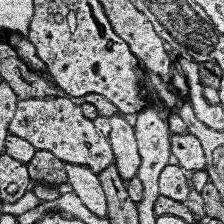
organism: Human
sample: Temporal Lobe